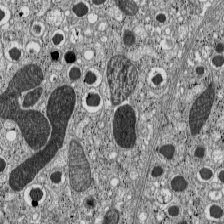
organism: C57BL Mouse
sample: Pancreatic islet